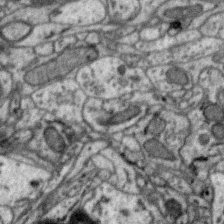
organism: Zebra finch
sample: Brain